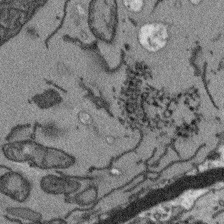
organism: Arabidopsis thaliana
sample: Root tip